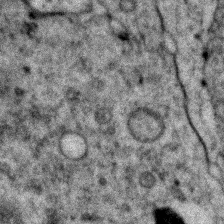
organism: Zebrafish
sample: Zebrafish embryo